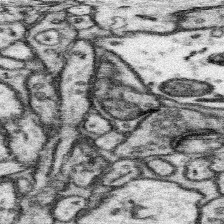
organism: Mouse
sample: Somatosensory cortex neuropil